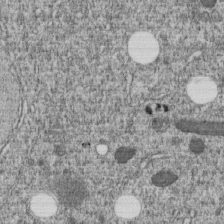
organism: C. elegans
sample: C. elegans embryo early stage